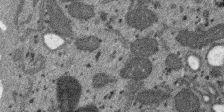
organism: Human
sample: Lung epithelial cells infected with SARS-CoV-2